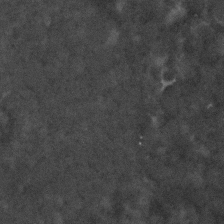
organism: C. elegans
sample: C. elegans embryo